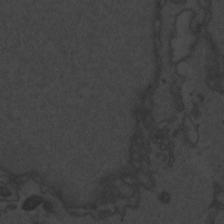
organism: Zebrafish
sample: Macrophage infected with Toxoplasma gondii